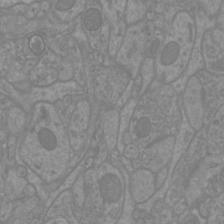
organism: Mouse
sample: Cortical neurons